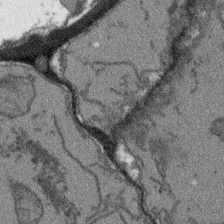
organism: Arabidopsis thaliana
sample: Root tip